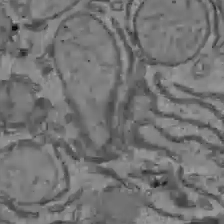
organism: C57BL Mouse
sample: Liver